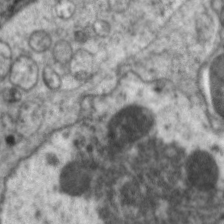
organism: C. elegans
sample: Pharynx